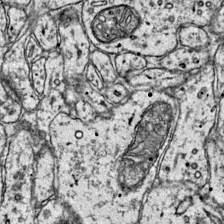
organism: Mouse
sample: Primary visual cortex